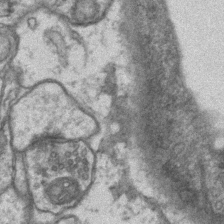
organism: Mouse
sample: CA1 Hippocampus